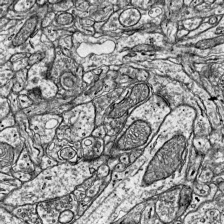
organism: Mouse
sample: Visual Cortex